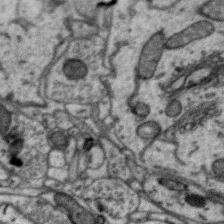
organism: Zebra finch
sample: Brain